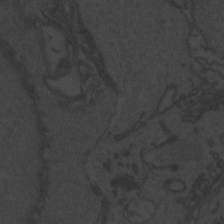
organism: Zebrafish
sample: Macrophage infected with Toxoplasma gondii